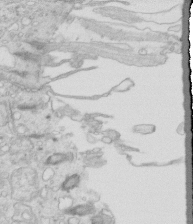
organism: Mouse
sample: Multiciliated cells